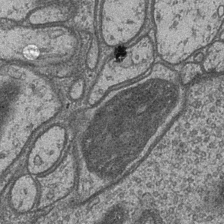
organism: Drosophila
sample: Optic medulla